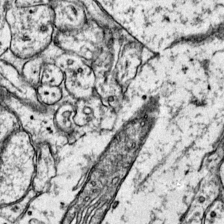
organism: Mouse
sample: Primary visual cortex